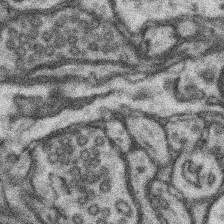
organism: Mouse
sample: Somatosensory cortex neuropil